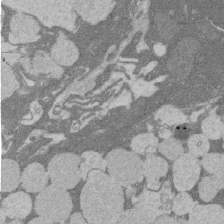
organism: Rat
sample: Salivary granule